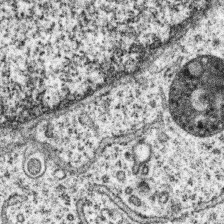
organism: Human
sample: HeLa cells